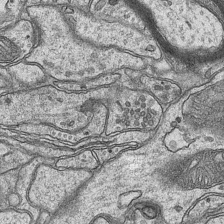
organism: Mouse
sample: CA1 Hippocampus